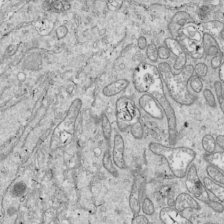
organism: Drosophila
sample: Cell division; meiosis; drosophila spermatocytes